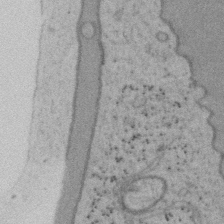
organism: Human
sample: HeLa cells